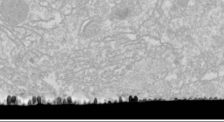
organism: Drosophila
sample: Cell division; meiosis; drosophila spermatocytes